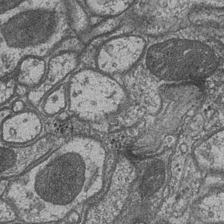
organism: Drosophila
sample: Optic medulla